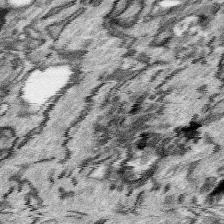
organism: Human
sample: HeLa cells